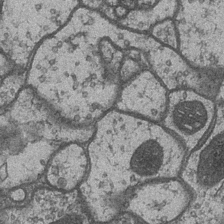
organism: Drosophila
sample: Optic medulla